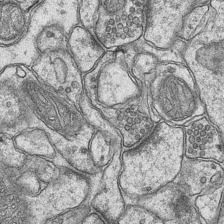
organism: Mouse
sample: CA1 Hippocampus